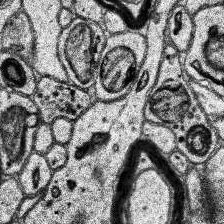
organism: Human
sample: Temporal Lobe